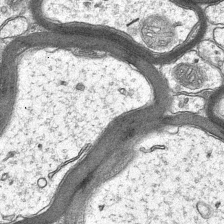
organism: Mouse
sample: CA1 Hippocampus